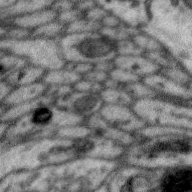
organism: Zebra finch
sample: Brain